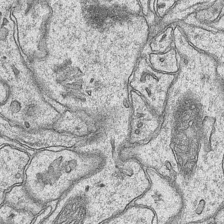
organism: Mouse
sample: CA1 Hippocampus